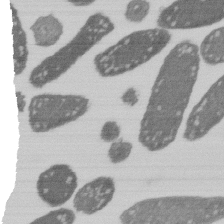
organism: E. coli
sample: Bacterial nucleoid